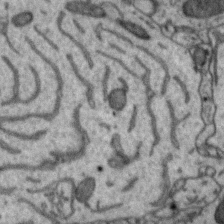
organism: Zebra finch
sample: Brain